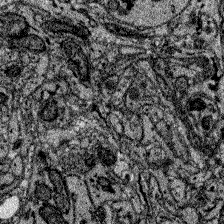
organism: Zebrafish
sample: Larval olfactory bulb